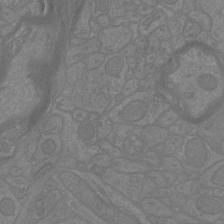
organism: Mouse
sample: Cortical neurons